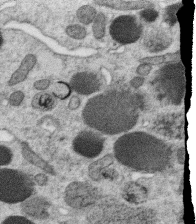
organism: C. elegans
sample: C. elegans oocyte; sperm cells